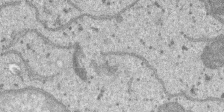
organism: Human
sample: Lung epithelial cells infected with SARS-CoV-2